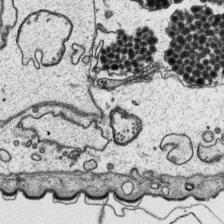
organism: Platynereis dumerilii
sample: Parapodia